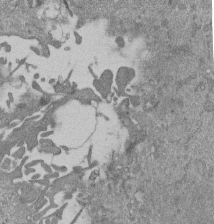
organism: Mouse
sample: ED-1 cell nuclei; centrioles